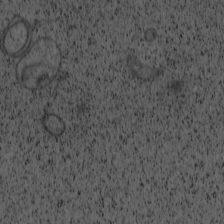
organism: African green monkey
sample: COS-7 cells